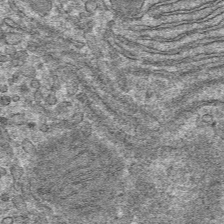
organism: Mouse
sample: Mouse hepatocytes